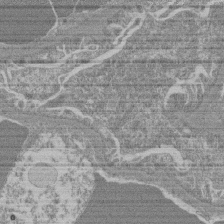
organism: Mouse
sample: Glomerulus